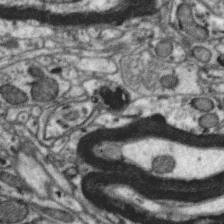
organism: Zebra finch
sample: Brain